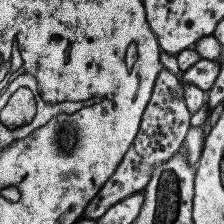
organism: Human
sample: Temporal Lobe